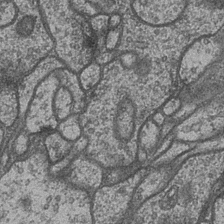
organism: Drosophila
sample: Optic medulla